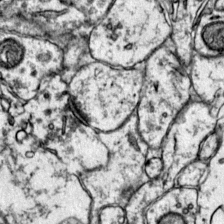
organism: Mouse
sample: Primary visual cortex